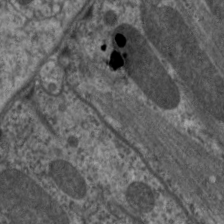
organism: C. elegans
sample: Pharynx